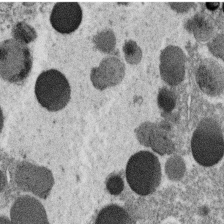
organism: C. elegans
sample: C. elegans oocyte; sperm cells